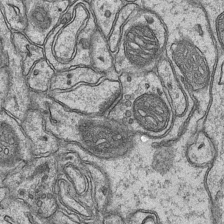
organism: Mouse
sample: CA1 Hippocampus